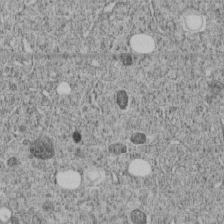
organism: C. elegans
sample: C. elegans embryo early stage